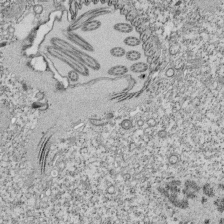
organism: Tetrahymena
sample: Cilia in tetrahymena